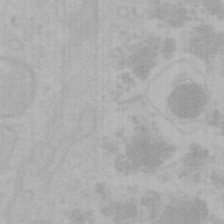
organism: Mouse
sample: Choroid plexus